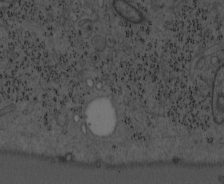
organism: Mouse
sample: OT-I killer T cells with ID8 ovarian cancer cells